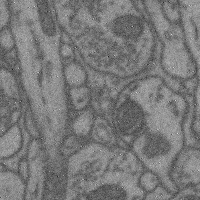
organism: Mouse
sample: Cerebral cortex